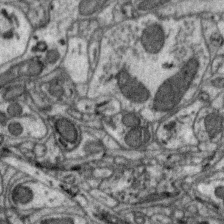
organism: Zebra finch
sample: Brain